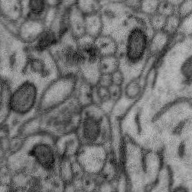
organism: Zebra finch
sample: Brain